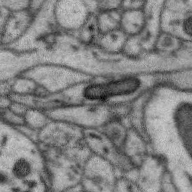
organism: Zebra finch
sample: Brain